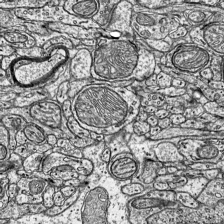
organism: Mouse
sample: Visual Cortex